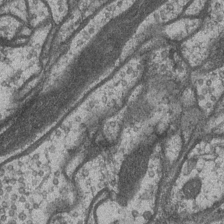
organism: Drosophila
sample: Optic medulla